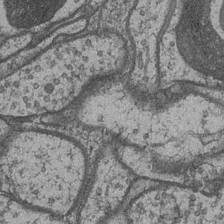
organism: Drosophila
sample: Optic medulla